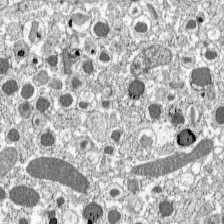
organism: C57BL Mouse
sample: Pancreatic islet